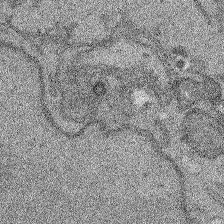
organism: Human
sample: HeLa cells